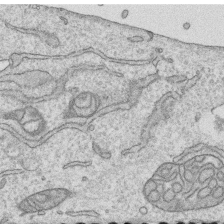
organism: Human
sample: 1205lu cells